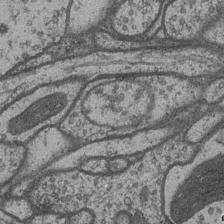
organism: Drosophila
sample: Optic medulla